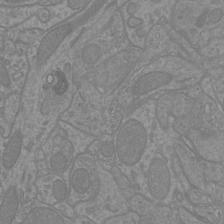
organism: Mouse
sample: Cortical neurons